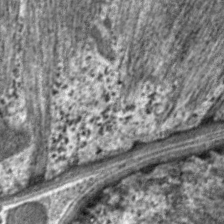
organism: C. elegans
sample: Pharynx